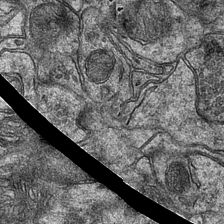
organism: Mouse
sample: CA1 Hippocampus